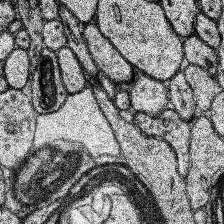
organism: Human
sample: Temporal Lobe